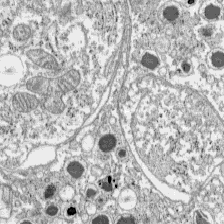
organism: C57BL Mouse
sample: Pancreatic islet